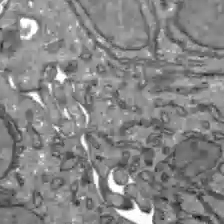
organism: C57BL Mouse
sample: Liver